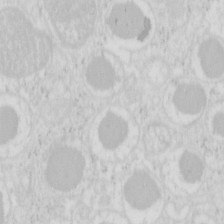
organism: Mouse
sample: Pancreas